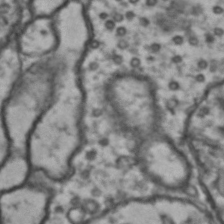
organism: Drosophila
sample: Brain